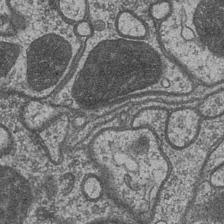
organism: Drosophila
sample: Optic medulla